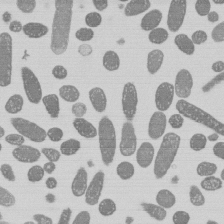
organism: E. coli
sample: Bacterial nucleoid